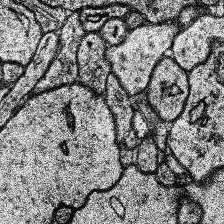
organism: Human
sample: Temporal Lobe